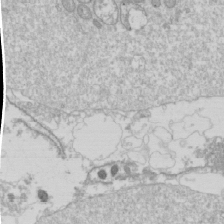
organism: Drosophila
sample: Cell division; meiosis; drosophila spermatocytes